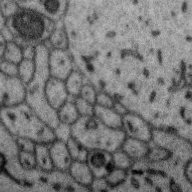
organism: Zebra finch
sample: Brain